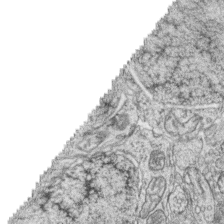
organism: Zebrafish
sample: synaptic ribbons in rod cells and cone cells